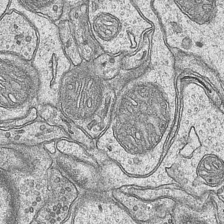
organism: Mouse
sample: CA1 Hippocampus